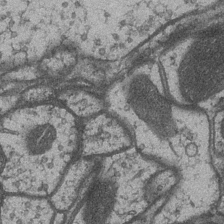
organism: Drosophila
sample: Optic medulla